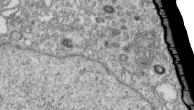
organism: Human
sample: HeLa cell HIV synapse